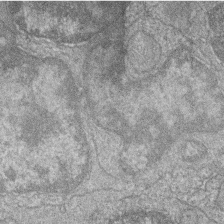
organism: Zebrafish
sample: Cilia; retinal pigment epithelium